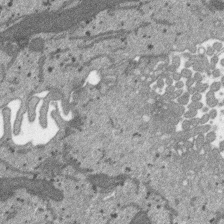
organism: Human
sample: Lung epithelial cells infected with SARS-CoV-2